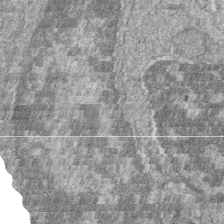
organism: Zebrafish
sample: Cilia; retinal pigment epithelium